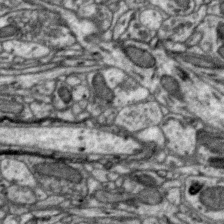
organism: Zebra finch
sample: Brain